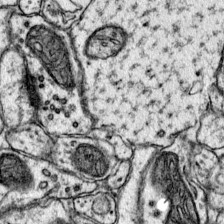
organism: Mouse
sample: Primary visual cortex